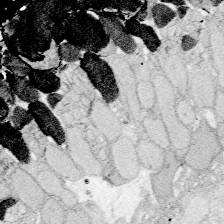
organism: Zebrafish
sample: Whole-Brain